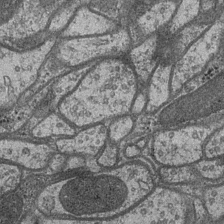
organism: Drosophila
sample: Optic medulla